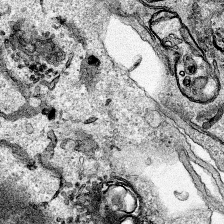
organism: Human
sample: Mitochondria in HCT116 cells